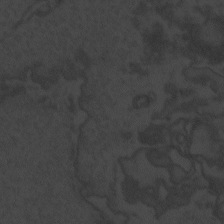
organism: Zebrafish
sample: Macrophage infected with Toxoplasma gondii